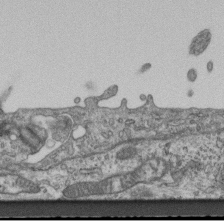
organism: Mouse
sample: Centriole in ependymal cells